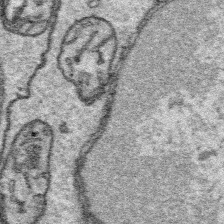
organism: Platynereis dumerilii